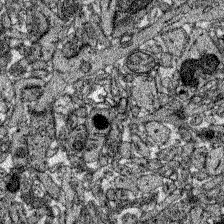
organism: Zebrafish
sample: Larval olfactory bulb